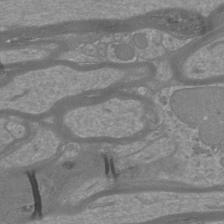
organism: Mouse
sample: Cortical neurons